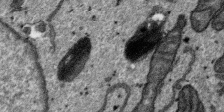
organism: Human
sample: Lung epithelial cells, uninfected (mock) control